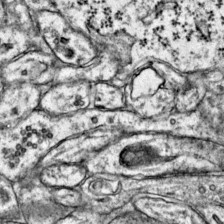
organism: Mouse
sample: Primary visual cortex